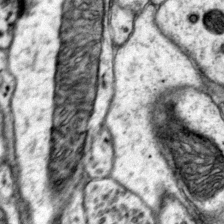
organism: Mouse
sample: Primary visual cortex